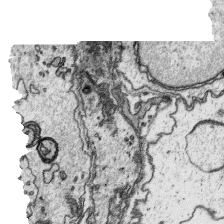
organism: Platynereis dumerilii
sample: Parapodia